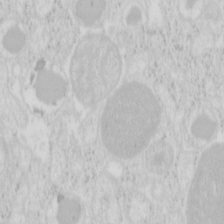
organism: Mouse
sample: Pancreas